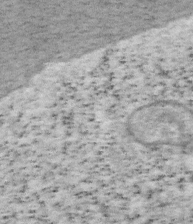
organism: Mouse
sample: OT-I killer T cells with ID8 ovarian cancer cells